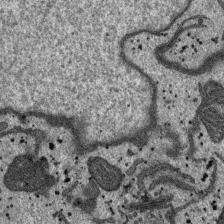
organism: Human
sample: Lung epithelial cells, uninfected (mock) control